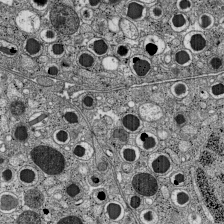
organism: C57BL Mouse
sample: Pancreatic islet